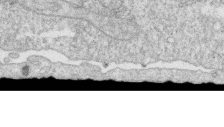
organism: Human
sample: HeLa cell HIV synapse